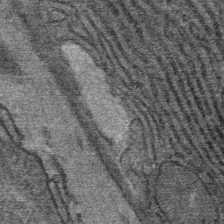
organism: Mouse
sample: Mouse Salivary gland